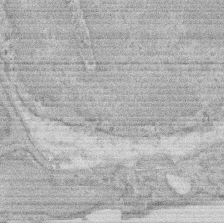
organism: Rat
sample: Salivary granule